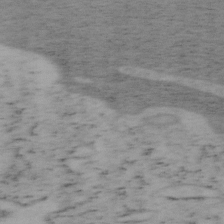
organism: Mouse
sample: OT-I killer T cells with ID8 ovarian cancer cells